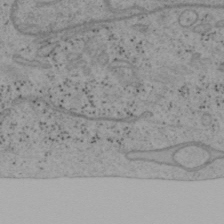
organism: Human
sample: HeLa cells